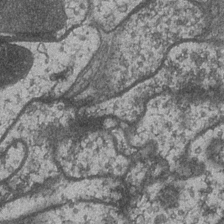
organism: Drosophila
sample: Optic medulla